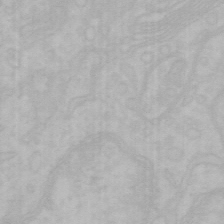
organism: Mouse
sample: Choroid plexus